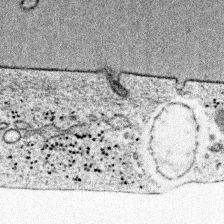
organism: Human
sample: HeLa cells